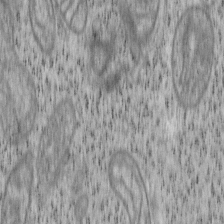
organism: Human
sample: HeLa cells